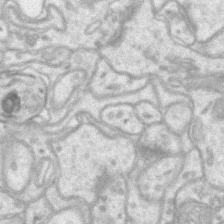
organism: Mouse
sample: CA1 Hippocampus